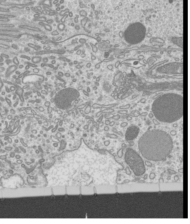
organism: Mouse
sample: Cilia; mouse epididymis